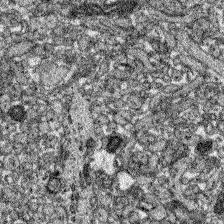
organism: Zebrafish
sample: Larval olfactory bulb